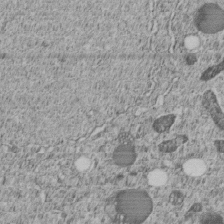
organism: C. elegans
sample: C. elegans embryo early stage